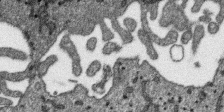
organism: Human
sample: Lung epithelial cells infected with SARS-CoV-2